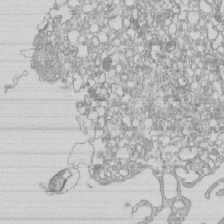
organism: Mouse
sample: Macrophages